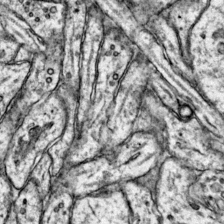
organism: Mouse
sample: Primary visual cortex